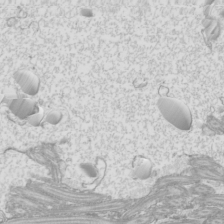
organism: Mouse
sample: Cilia; mouse epididymis